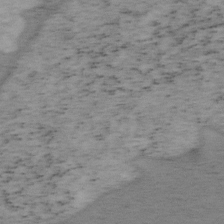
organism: Mouse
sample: OT-I killer T cells with ID8 ovarian cancer cells